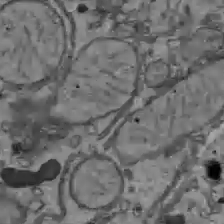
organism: C57BL Mouse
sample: Liver